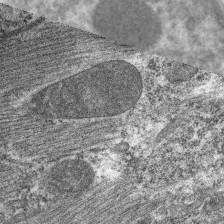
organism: C. elegans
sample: Pharynx